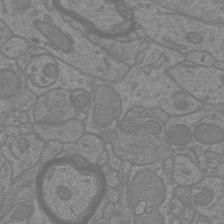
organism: Mouse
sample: Cortical neurons